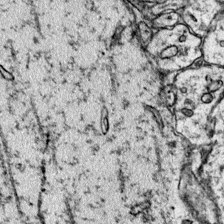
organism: Mouse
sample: Primary visual cortex